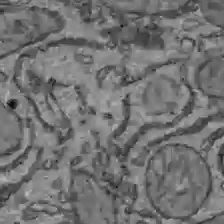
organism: C57BL Mouse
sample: Liver